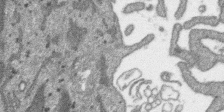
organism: Human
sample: Lung epithelial cells infected with SARS-CoV-2